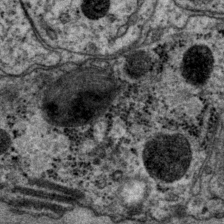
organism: P. pacificus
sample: Pharynx